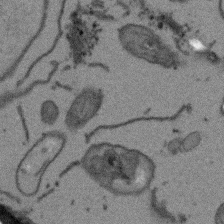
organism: Arabidopsis thaliana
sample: Root tip